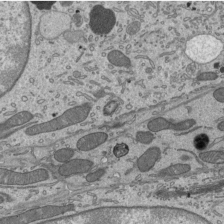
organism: Mouse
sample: Mouse epididymis efferent ductule cilia